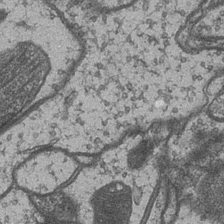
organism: Drosophila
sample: Optic medulla